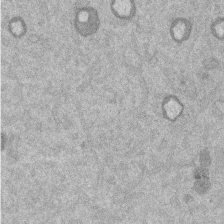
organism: Mouse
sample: Dividing mouse embryo 1 cell stage